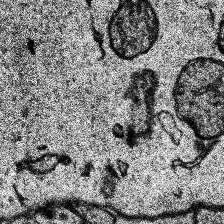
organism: Human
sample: Temporal Lobe